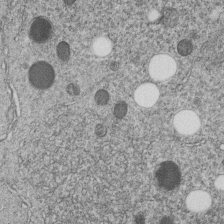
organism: C. elegans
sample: C. elegans embryo early stage